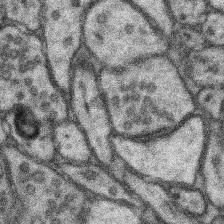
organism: Mouse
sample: Somatosensory cortex neuropil